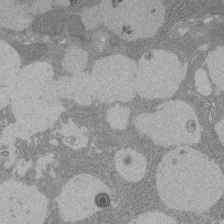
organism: Rat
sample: Salivary granule